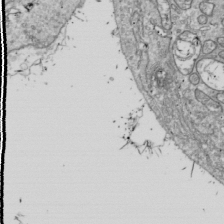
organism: Drosophila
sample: Cell division; meiosis; drosophila spermatocytes